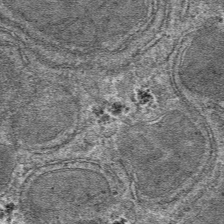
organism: Mouse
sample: Mouse hepatocytes